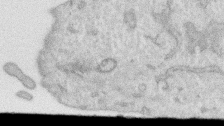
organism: Human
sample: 1205lu cells